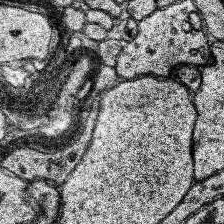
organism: Human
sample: Temporal Lobe